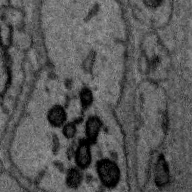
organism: Zebra finch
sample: Brain